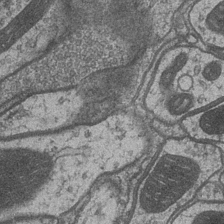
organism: Drosophila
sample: Optic medulla